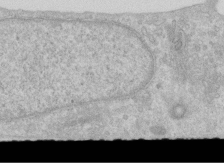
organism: Human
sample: Centriole in RPE cells